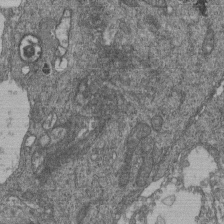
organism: Human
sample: Retinal organoid Rod and Cone cells